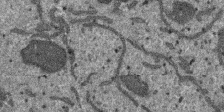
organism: Human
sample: Lung epithelial cells infected with SARS-CoV-2